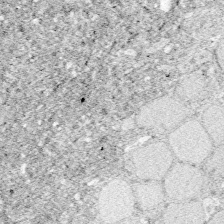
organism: Zebrafish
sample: Whole-Brain